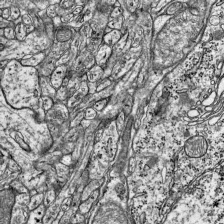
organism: Mouse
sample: Visual Cortex